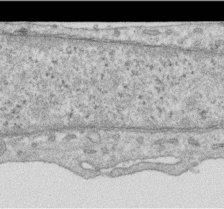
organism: Human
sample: Centriole in RPE cells